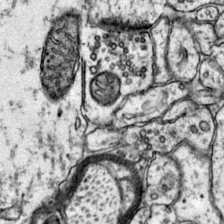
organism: Mouse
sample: Primary visual cortex